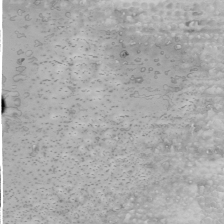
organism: Human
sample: Mitochondria in U2OS cells